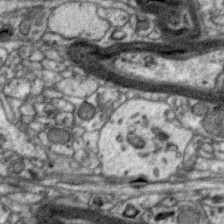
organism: Zebra finch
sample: Brain